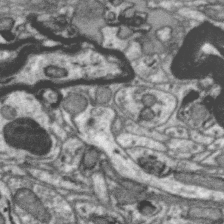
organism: Zebra finch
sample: Brain